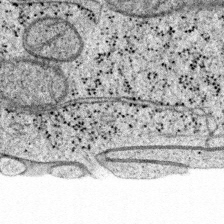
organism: Human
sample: HeLa cells